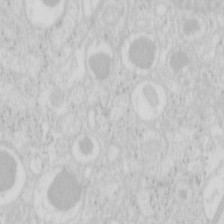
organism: Mouse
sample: Pancreas